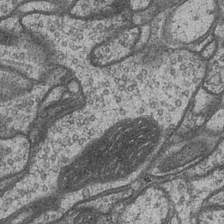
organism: Drosophila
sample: Optic medulla